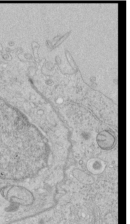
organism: Human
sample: Mitochondria in HCT116 cells